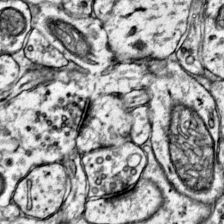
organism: Mouse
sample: Primary visual cortex